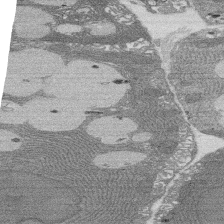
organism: Rat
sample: Salivary granule